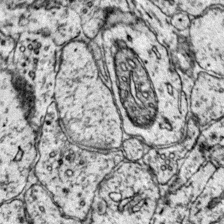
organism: Mouse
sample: Primary visual cortex